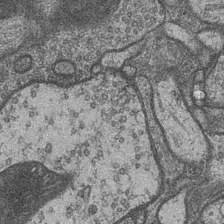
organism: Drosophila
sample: Optic medulla